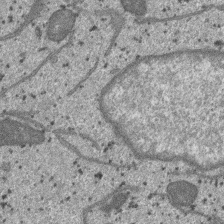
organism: Human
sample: Lung epithelial cells infected with SARS-CoV-2